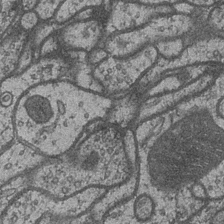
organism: Drosophila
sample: Optic medulla